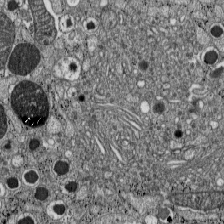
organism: C57BL Mouse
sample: Pancreatic islet